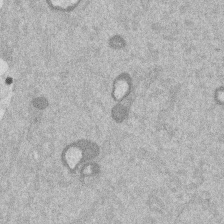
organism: Mouse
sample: Dividing mouse embryo 1 cell stage